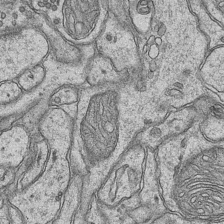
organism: Mouse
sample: CA1 Hippocampus